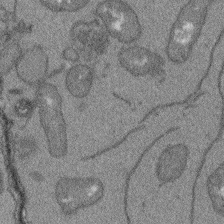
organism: Arabidopsis thaliana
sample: Root tip